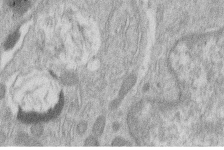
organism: Human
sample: Macrophage cells